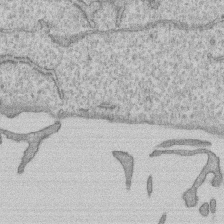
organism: Human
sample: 1205lu cells